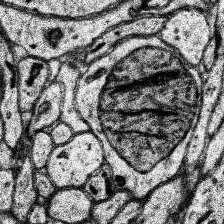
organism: Human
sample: Temporal Lobe